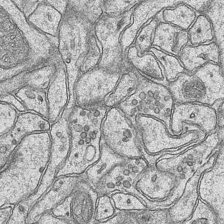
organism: Mouse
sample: CA1 Hippocampus